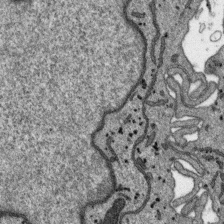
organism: Human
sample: Lung epithelial cells, uninfected (mock) control